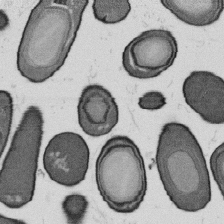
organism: B. subtilis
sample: Bacterial spore